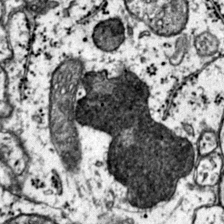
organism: Mouse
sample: Primary visual cortex